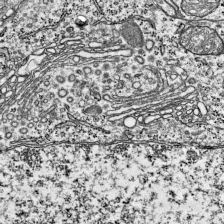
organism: Mouse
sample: Visual Cortex